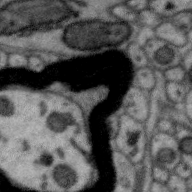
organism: Zebra finch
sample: Brain